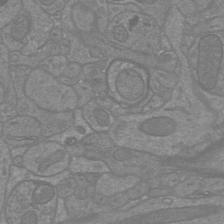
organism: Mouse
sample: Cortical neurons